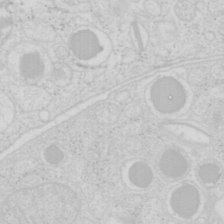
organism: Mouse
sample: Pancreas